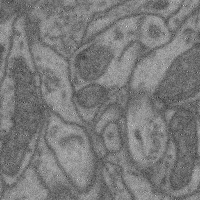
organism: Mouse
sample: Cerebral cortex